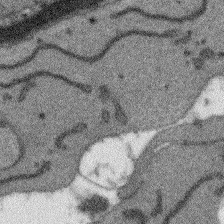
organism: Arabidopsis thaliana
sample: Root tip